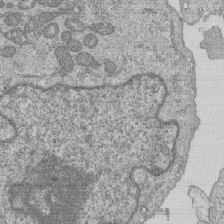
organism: Human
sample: MDA-MB-231 cells